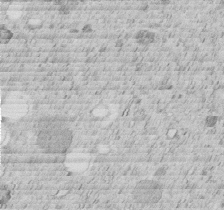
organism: C. elegans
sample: C. elegans embryo early stage